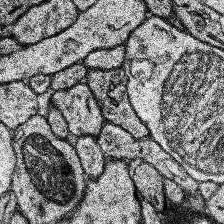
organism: Human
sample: Temporal Lobe